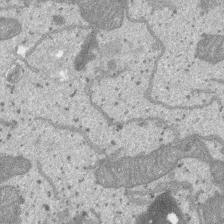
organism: Human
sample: Lung epithelial cells infected with SARS-CoV-2